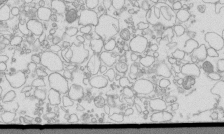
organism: Mouse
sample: Macrophages